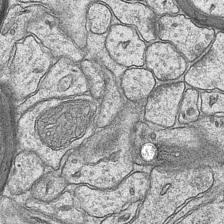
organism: Mouse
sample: CA1 Hippocampus